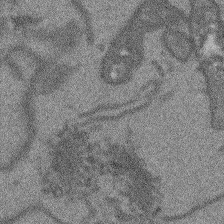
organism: Arabidopsis thaliana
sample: Root tip